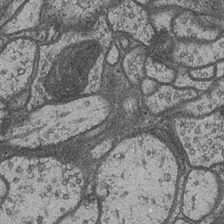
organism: Drosophila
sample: Optic medulla